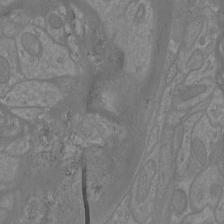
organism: Mouse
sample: Cortical neurons